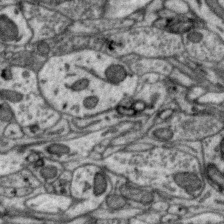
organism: Zebra finch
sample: Brain